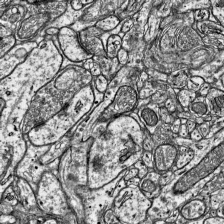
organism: Mouse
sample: Visual Cortex